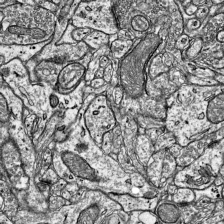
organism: Mouse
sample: Visual Cortex